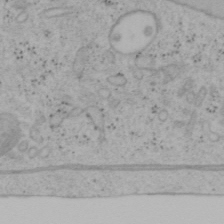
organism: Human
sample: HeLa cells